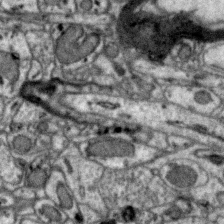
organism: Zebra finch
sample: Brain